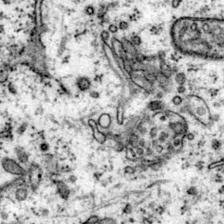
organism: Mouse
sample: Primary visual cortex